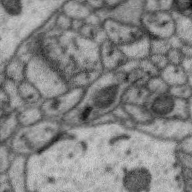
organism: Zebra finch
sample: Brain